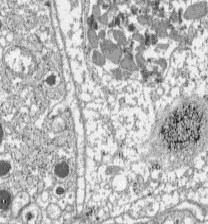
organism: C57BL Mouse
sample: Pancreatic islet